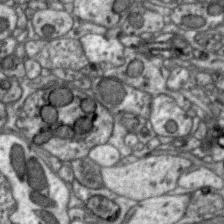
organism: Zebra finch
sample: Brain